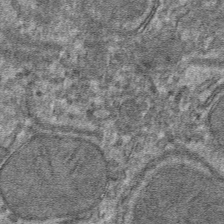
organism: Mouse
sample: Mouse hepatocytes